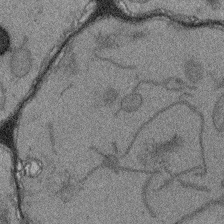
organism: Arabidopsis thaliana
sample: Root tip